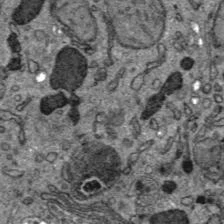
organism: C57BL Mouse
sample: Liver